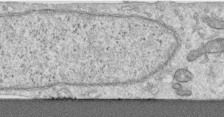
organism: Human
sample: Centriole in RPE cells